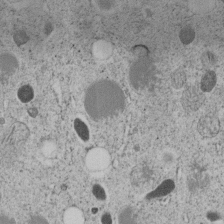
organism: C. elegans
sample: C. elegans embryo early stage